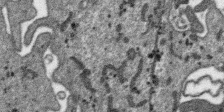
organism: Human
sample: Lung epithelial cells infected with SARS-CoV-2